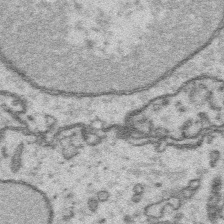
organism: Platynereis dumerilii